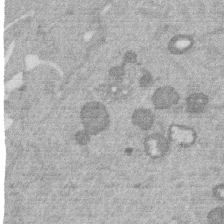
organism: Mouse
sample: Dividing mouse embryo 1 cell stage